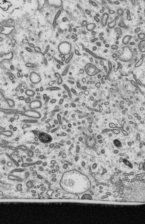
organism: Mouse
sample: Mouse epididymis efferent ductule cilia